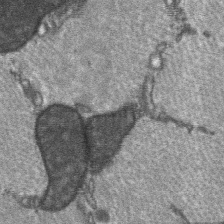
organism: C57BL Mouse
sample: Soleus